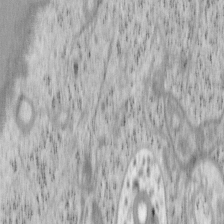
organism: Human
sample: HeLa cells